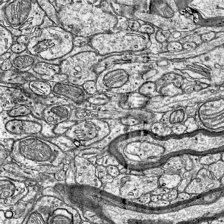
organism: Mouse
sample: Visual Cortex